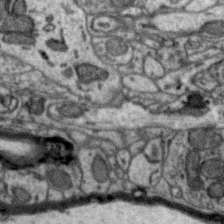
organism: Zebra finch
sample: Brain